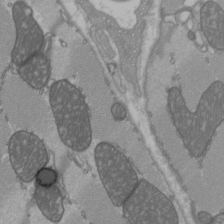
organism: C57BL Mouse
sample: Heart